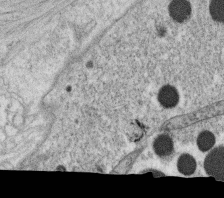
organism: C. elegans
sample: C. elegans oocyte; sperm cells